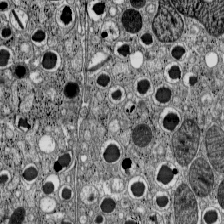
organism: C57BL Mouse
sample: Pancreatic islet